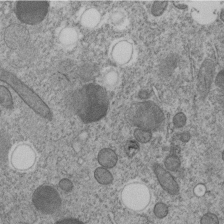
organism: C. elegans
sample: C. elegans embryo early stage